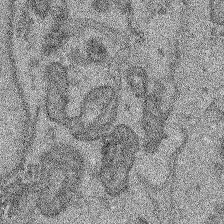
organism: Human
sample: HeLa cells